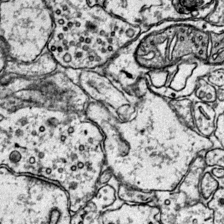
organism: Mouse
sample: Primary visual cortex